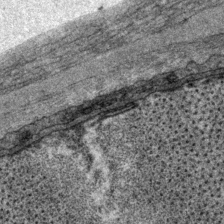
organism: P. pacificus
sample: Pharynx